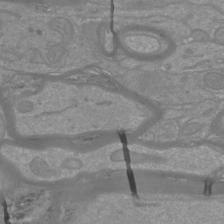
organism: Mouse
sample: Cortical neurons